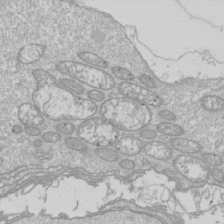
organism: Drosophila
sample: Cell division; meiosis; drosophila spermatocytes